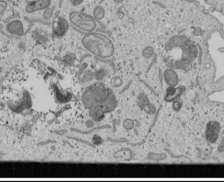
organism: Human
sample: Mitochondria in U2OS cells